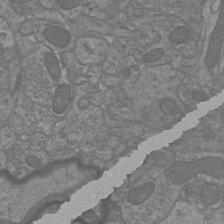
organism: Mouse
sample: Cortical neurons